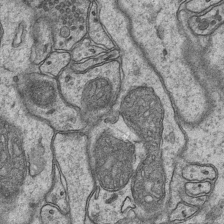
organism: Mouse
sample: CA1 Hippocampus